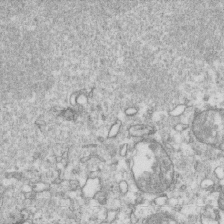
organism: Mouse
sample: Activated OT-1 CD8+ T cells